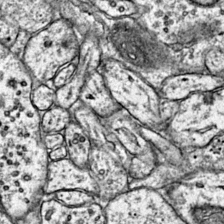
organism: Mouse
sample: Primary visual cortex